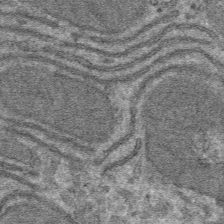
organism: Mouse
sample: Mouse hepatocytes